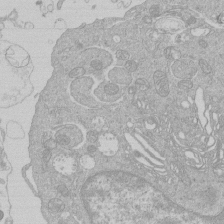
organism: Human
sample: Macrophage cells